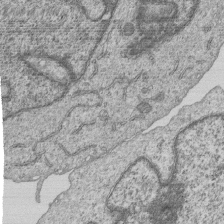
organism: Human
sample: MDA-MB-231 cells